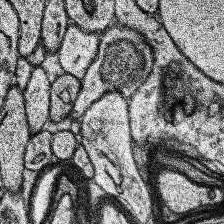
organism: Human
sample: Temporal Lobe